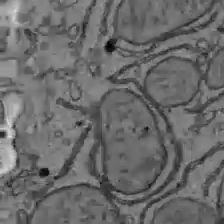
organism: C57BL Mouse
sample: Liver